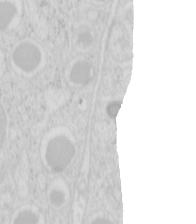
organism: Mouse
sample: Pancreas